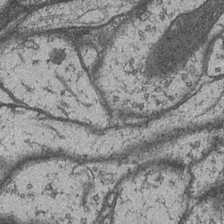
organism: Drosophila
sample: Optic medulla